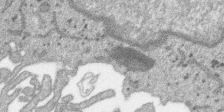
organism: Human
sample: Lung epithelial cells infected with SARS-CoV-2